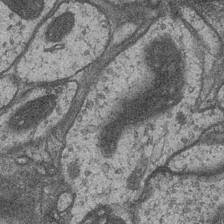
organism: Drosophila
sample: Optic medulla